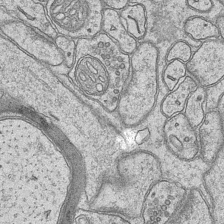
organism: Mouse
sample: CA1 Hippocampus